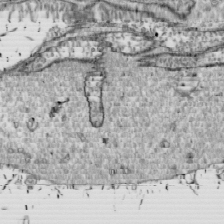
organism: Drosophila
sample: Cell division; meiosis; drosophila spermatocytes